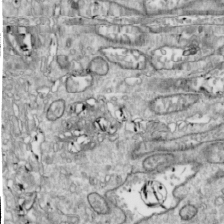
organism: Drosophila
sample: Cell division; meiosis; drosophila spermatocytes